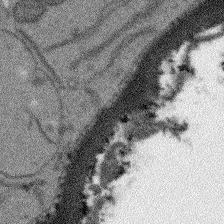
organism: Arabidopsis thaliana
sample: Root tip